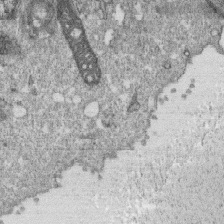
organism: African green monkey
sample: Vero E6 cells infected with SARS-CoV-2